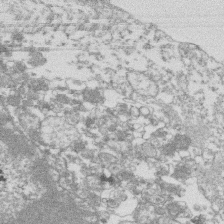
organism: Human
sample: HeLa cell HIV synapse